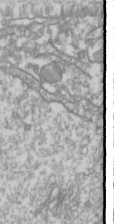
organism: Drosophila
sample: Cell division; meiosis; drosophila spermatocytes